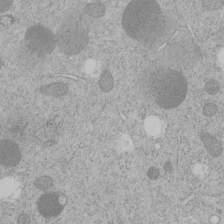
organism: C. elegans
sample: C. elegans embryo early stage